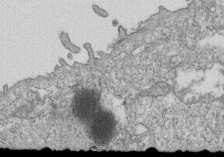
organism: Human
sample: HeLa cell HIV synapse